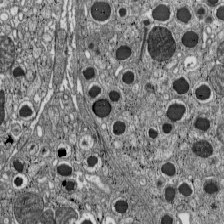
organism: C57BL Mouse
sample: Pancreatic islet